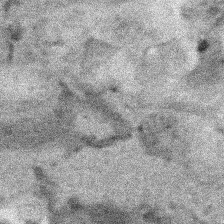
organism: Human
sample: Mitochondria in HCT116 cells